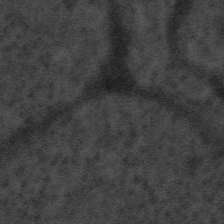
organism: Tuwongella immobilis